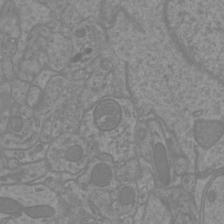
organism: Mouse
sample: Cortical neurons